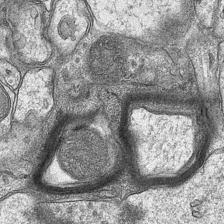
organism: Mouse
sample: CA1 Hippocampus